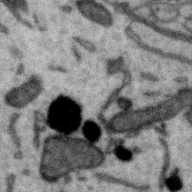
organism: Zebra finch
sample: Brain